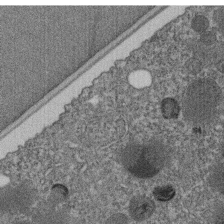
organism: C. elegans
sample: C. elegans embryo early stage